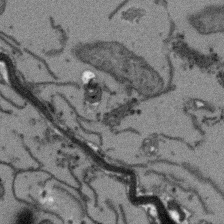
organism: Arabidopsis thaliana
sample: Root tip